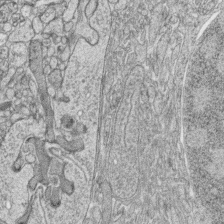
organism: Zebrafish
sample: synaptic ribbons in rod cells and cone cells